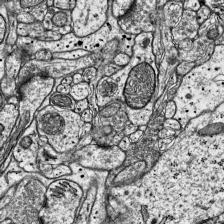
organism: Mouse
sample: Visual Cortex